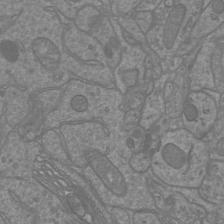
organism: Mouse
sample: Cortical neurons